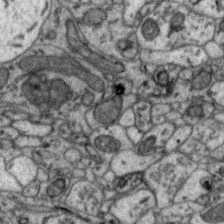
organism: Zebra finch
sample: Brain